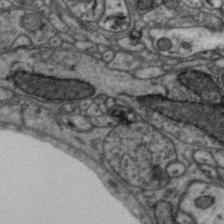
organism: Zebra finch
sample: Brain